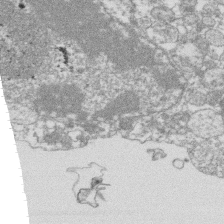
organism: Human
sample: HeLa cell HIV synapse